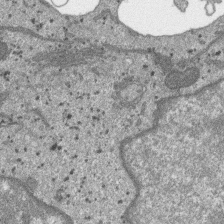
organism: Human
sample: Lung epithelial cells infected with SARS-CoV-2